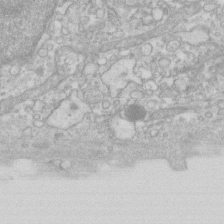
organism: Human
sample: Fibroblast cells